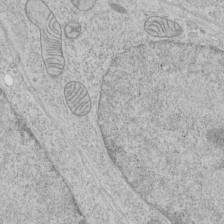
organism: Human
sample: Mitochondria in HCT116 cells